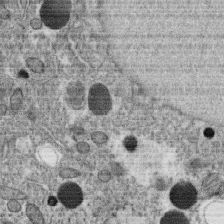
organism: C. elegans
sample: C. elegans oocyte; sperm cells